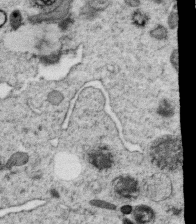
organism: C. elegans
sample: C. elegans oocyte; sperm cells